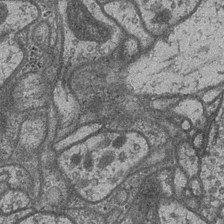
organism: Drosophila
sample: Optic medulla